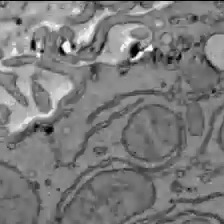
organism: C57BL Mouse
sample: Liver